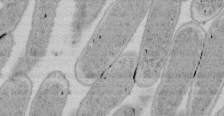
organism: E. coli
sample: Bacterial nucleoid